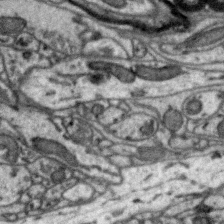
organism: Zebra finch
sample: Brain